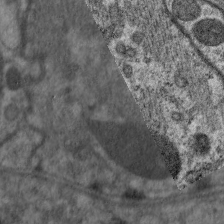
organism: C. elegans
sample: Pharynx